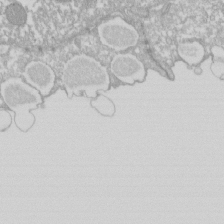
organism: Xenopus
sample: Cilia; centrioles in frog embryo cells